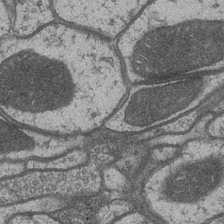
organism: Drosophila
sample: Optic medulla